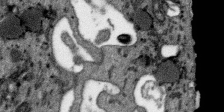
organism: Human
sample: Lung epithelial cells, uninfected (mock) control